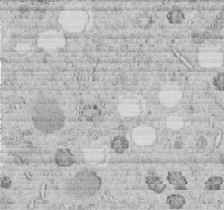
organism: C. elegans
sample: C. elegans embryo early stage